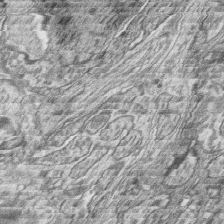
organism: Zebrafish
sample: synaptic ribbons in rod cells and cone cells